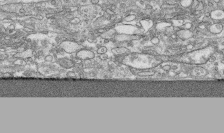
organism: Human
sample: CRL-1474